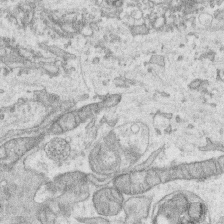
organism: Human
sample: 1205lu cells